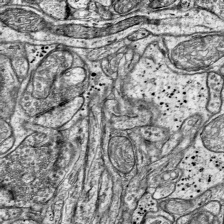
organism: Mouse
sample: Visual Cortex